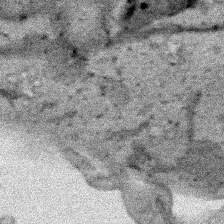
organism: Human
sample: Mitochondria in HCT116 cells